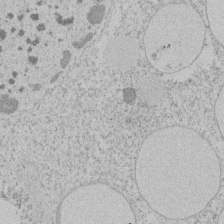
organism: Tetrahymena